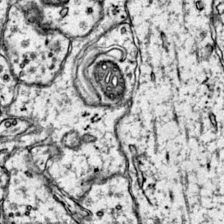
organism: Mouse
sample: Primary visual cortex